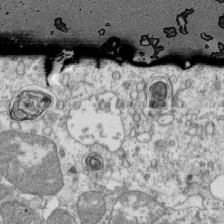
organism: Mouse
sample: Activated OT-1 CD8+ T cells